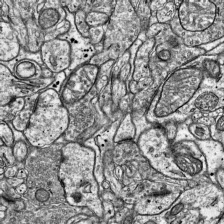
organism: Mouse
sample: Visual Cortex